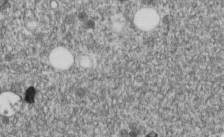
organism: C. elegans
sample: C. elegans embryo early stage